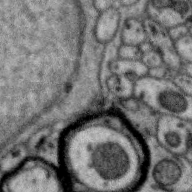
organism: Zebra finch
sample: Brain